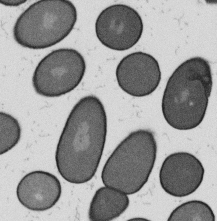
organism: B. subtilis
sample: Bacterial spore